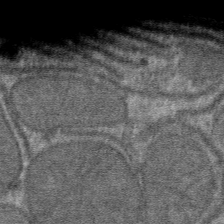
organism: Mouse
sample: Mouse hepatocytes